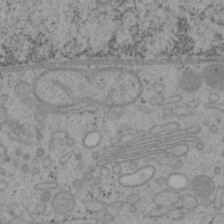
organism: Human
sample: HeLa cells